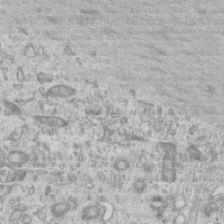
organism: Mouse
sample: Centriole in ependymal cells